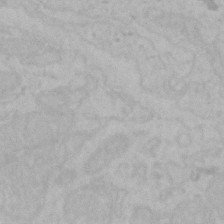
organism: Mouse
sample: Choroid plexus